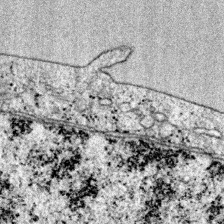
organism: Human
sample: HeLa cells